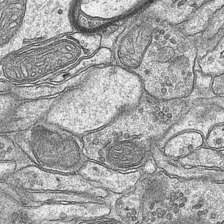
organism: Mouse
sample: CA1 Hippocampus